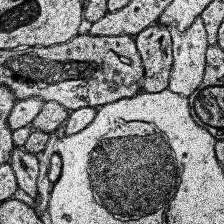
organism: Human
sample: Temporal Lobe